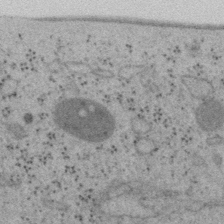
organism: Human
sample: HeLa cells